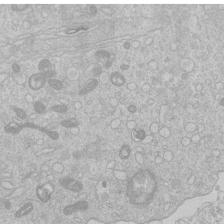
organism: Human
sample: Macrophage cells